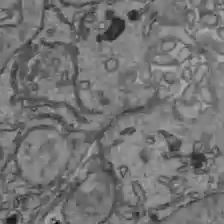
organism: C57BL Mouse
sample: Liver